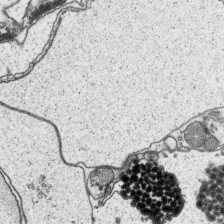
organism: Platynereis dumerilii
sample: Parapodia